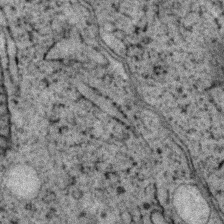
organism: Zebrafish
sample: Zebrafish embryo